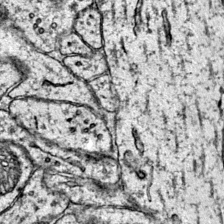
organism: Mouse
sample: Primary visual cortex